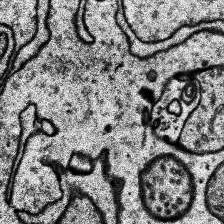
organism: Human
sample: Temporal Lobe